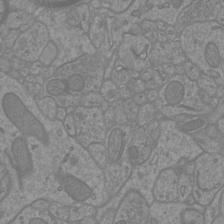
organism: Mouse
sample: Cortical neurons